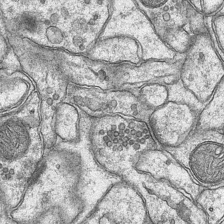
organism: Mouse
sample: CA1 Hippocampus